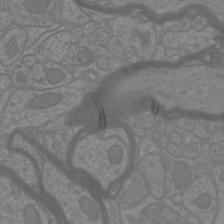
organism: Mouse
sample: Cortical neurons